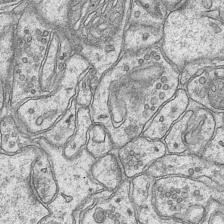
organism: Mouse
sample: CA1 Hippocampus